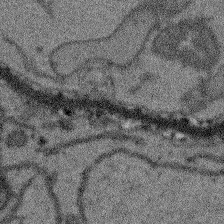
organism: Arabidopsis thaliana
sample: Root tip